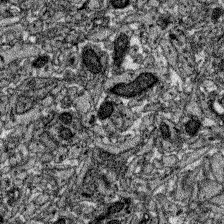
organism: Zebrafish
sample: Larval olfactory bulb